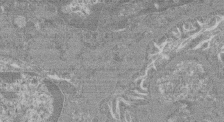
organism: Mouse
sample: Glomerulus